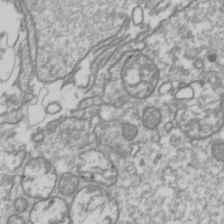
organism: Drosophila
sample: Cell division; meiosis; drosophila spermatocytes